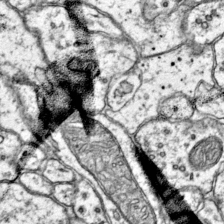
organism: Mouse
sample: Primary visual cortex